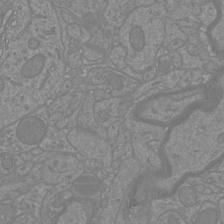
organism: Mouse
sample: Cortical neurons